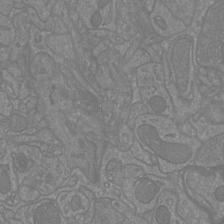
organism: Mouse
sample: Cortical neurons